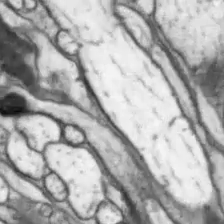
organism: Drosophila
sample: Optic lobe